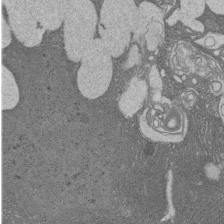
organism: Rat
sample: Salivary granule